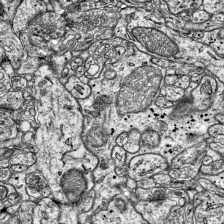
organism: Mouse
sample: Visual Cortex